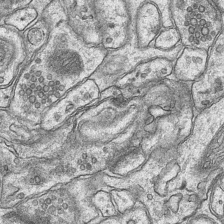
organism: Mouse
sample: CA1 Hippocampus